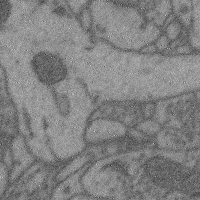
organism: Mouse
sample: Cerebral cortex